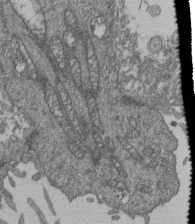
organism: Human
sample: Retinal organoid Rod and Cone cells